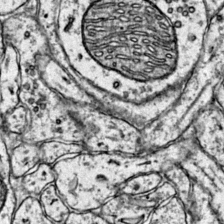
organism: Mouse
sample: Primary visual cortex